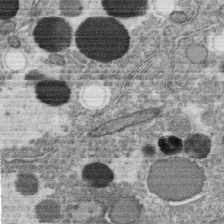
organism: C. elegans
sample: C. elegans oocyte; sperm cells